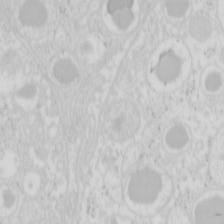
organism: Mouse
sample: Pancreas